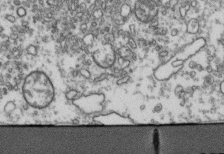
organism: Human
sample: Activated Jurkat CD4+ T cells